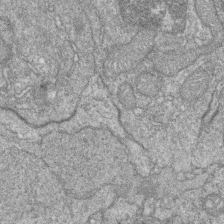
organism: Zebrafish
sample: Cilia; retinal pigment epithelium